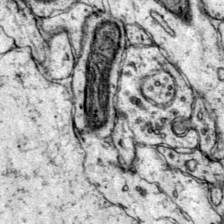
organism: Mouse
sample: Primary visual cortex